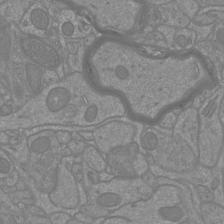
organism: Mouse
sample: Cortical neurons